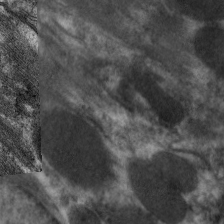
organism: C. elegans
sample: Pharynx